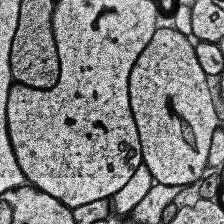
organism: Human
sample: Temporal Lobe